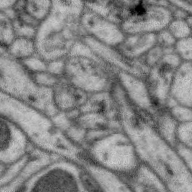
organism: Zebra finch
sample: Brain